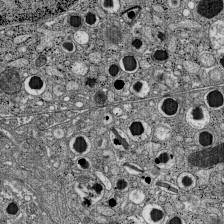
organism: C57BL Mouse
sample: Pancreatic islet